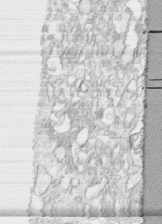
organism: Human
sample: CRL-1474